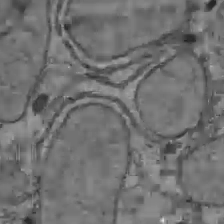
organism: C57BL Mouse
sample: Liver